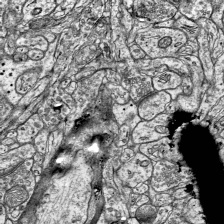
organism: Mouse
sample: Visual Cortex